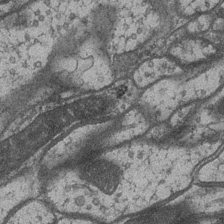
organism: Drosophila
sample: Optic medulla